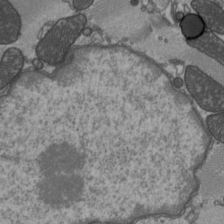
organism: C57BL Mouse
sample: Heart